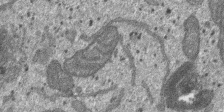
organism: Human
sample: Lung epithelial cells infected with SARS-CoV-2